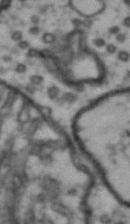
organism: Drosophila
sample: Brain